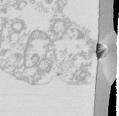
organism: Mouse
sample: Activated Pmel transgenic CD8+ T Cells